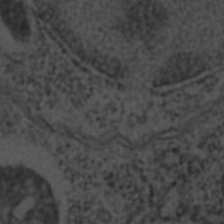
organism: C. elegans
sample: C. elegans embryo